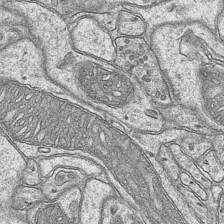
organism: Mouse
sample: CA1 Hippocampus